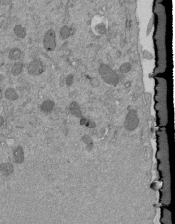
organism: Mouse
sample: ED-1 cell nuclei; centrioles